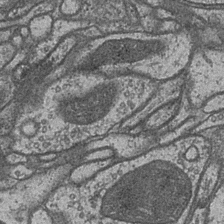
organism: Drosophila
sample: Optic medulla